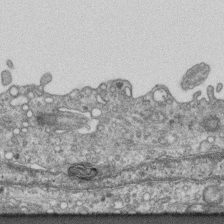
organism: Mouse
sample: Centriole in ependymal cells